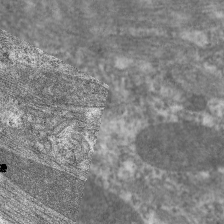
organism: C. elegans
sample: Pharynx